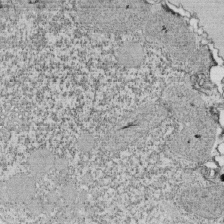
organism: Tetrahymena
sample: Cilia in tetrahymena